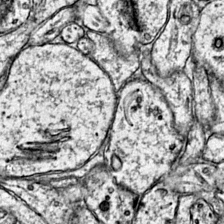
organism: Mouse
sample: Primary visual cortex